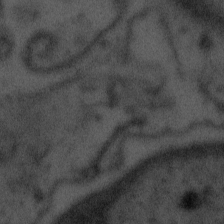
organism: Tuwongella immobilis